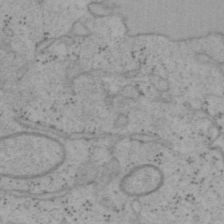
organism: Human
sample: HeLa cells